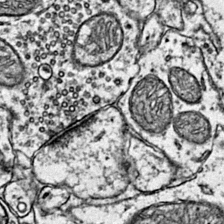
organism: Mouse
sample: Primary visual cortex